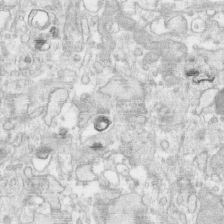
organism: Human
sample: CRL-1474